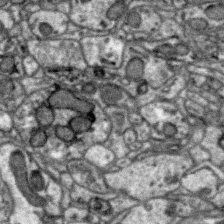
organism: Zebra finch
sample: Brain